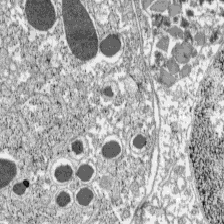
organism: C57BL Mouse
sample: Pancreatic islet